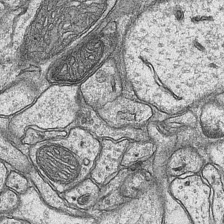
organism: Mouse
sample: CA1 Hippocampus